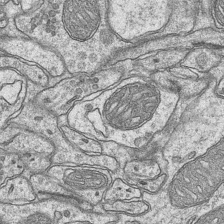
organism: Mouse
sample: CA1 Hippocampus